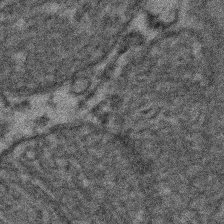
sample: Kidney